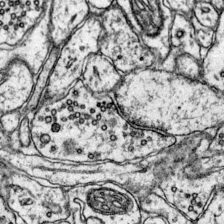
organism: Mouse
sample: Primary visual cortex